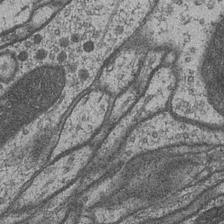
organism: Drosophila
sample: Optic medulla